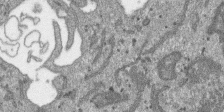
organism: Human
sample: Lung epithelial cells infected with SARS-CoV-2